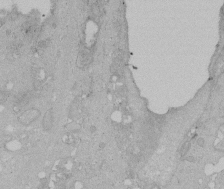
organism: Human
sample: Melanocyte Keratinocyte synapse skin construct